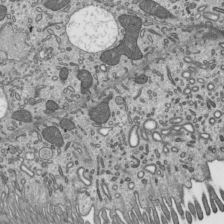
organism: Mouse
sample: Mouse epididymis efferent ductule cilia